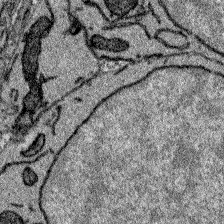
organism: Zebrafish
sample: Larval olfactory bulb